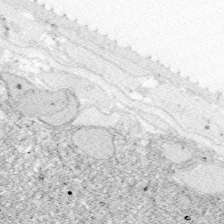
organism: Zebrafish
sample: Whole-Brain